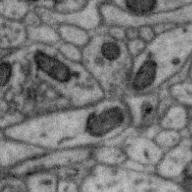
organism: Zebra finch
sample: Brain